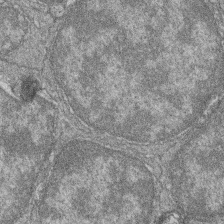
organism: Zebrafish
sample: Cilia; retinal pigment epithelium